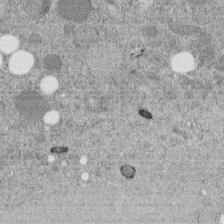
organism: C. elegans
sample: C. elegans embryo early stage